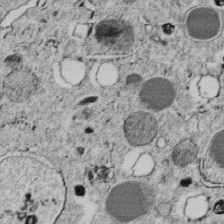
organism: C. elegans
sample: C. elegans embryo early stage